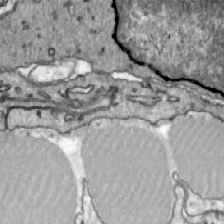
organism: Zebrafish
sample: Actinotrichia fibers